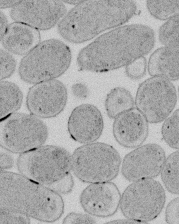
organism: E. coli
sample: Bacterial nucleoid